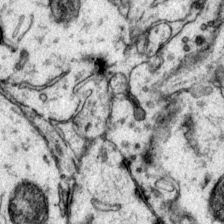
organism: Mouse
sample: Primary visual cortex